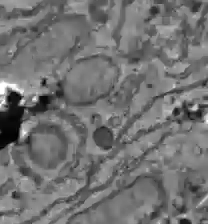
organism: C57BL Mouse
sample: Liver